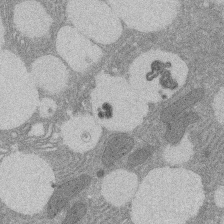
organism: Rat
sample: Salivary granule